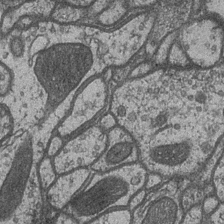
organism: Drosophila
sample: Optic medulla